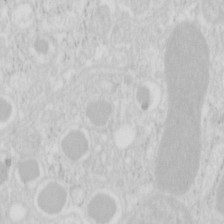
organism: Mouse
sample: Pancreas